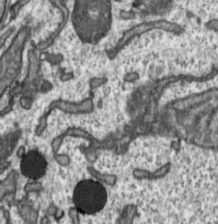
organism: Toxoplasma gondii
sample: Parasites in a vacuole inside a host cell